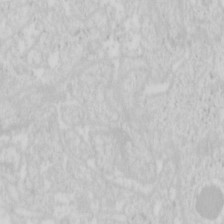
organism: Mouse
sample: Pancreas